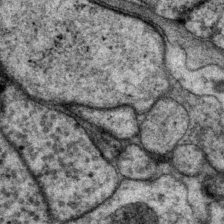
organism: P. pacificus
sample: Pharynx